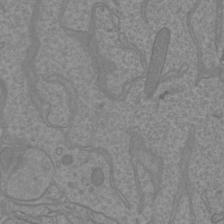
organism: Mouse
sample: Cortical neurons